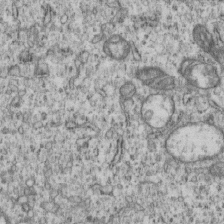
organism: Human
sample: MDA-MB-231 cells